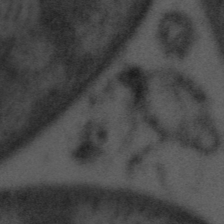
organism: Tuwongella immobilis